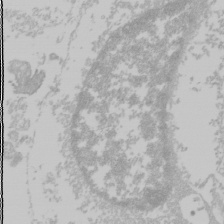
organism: Mouse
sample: Cancer cell death in ED-1 cells